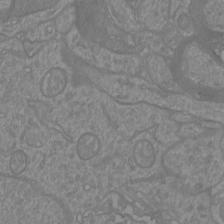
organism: Mouse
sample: Cortical neurons